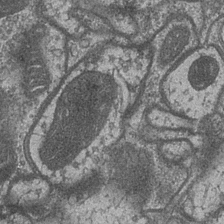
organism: Drosophila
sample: Optic medulla